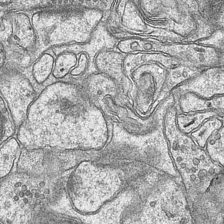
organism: Mouse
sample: CA1 Hippocampus